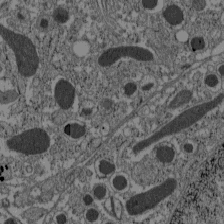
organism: C57BL Mouse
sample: Pancreatic islet